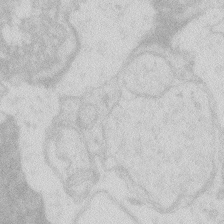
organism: Zebrafish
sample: Macrophage